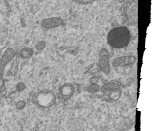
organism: Human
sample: MDA-MB-231 cells